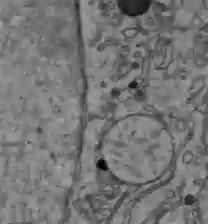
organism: C57BL Mouse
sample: Liver